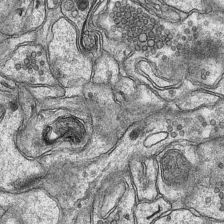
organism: Mouse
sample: CA1 Hippocampus